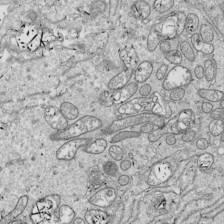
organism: Drosophila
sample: Cell division; meiosis; drosophila spermatocytes